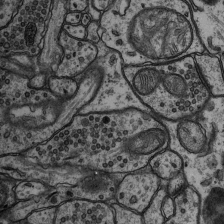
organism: Rat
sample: Hippocampus